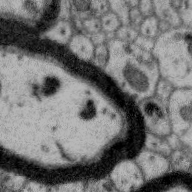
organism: Zebra finch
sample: Brain